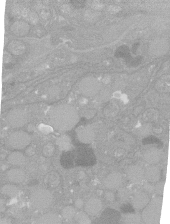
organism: C. elegans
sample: C. elegans oocyte; sperm cells